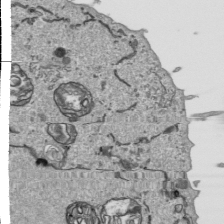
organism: Human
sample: Mitochondria in HCT116 cells